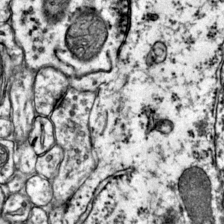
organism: Mouse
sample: Primary visual cortex